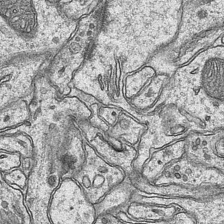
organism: Mouse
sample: CA1 Hippocampus